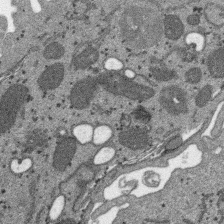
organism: Human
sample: Lung epithelial cells infected with SARS-CoV-2